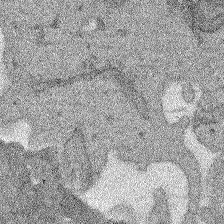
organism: Human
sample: HeLa cells